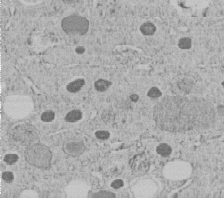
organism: C. elegans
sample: C. elegans embryo early stage